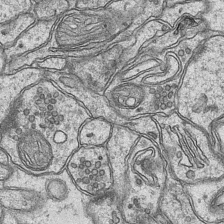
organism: Mouse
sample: CA1 Hippocampus